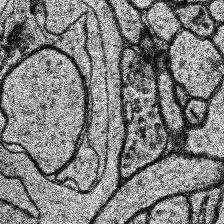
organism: Human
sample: Temporal Lobe